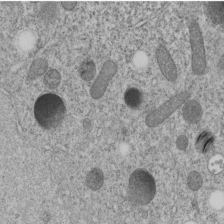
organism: C. elegans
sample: C. elegans embryo early stage